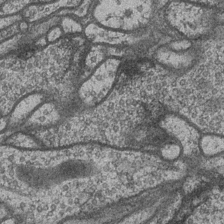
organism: Drosophila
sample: Optic medulla